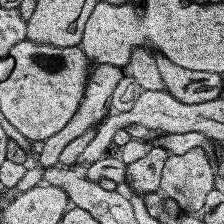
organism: Human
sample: Temporal Lobe